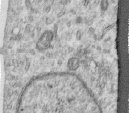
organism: Human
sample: Centriole in RPE cells